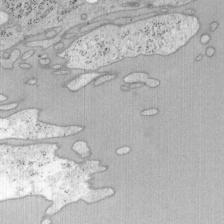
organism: Mouse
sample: OT-I killer T cells with ID8 ovarian cancer cells